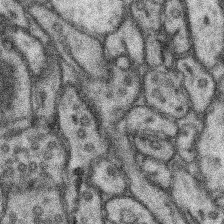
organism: Mouse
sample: Somatosensory cortex neuropil